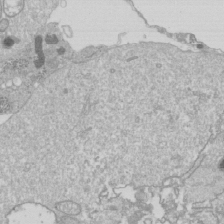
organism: Drosophila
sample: Cell division; meiosis; drosophila spermatocytes